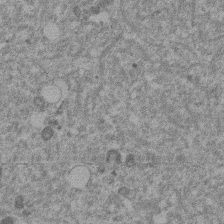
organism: Mouse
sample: Dividing mouse embryo 1 cell stage